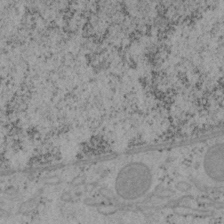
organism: Human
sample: HeLa cells